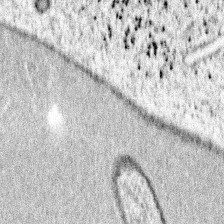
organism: Human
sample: HeLa cells